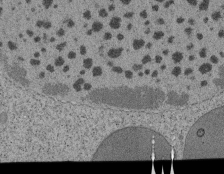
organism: Tetrahymena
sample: Cilia in tetrahymena